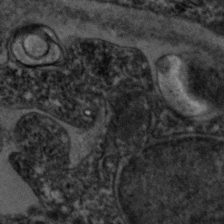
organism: Zebrafish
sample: Zebrafish embryo